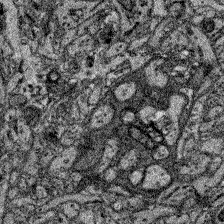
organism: Zebrafish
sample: Larval olfactory bulb